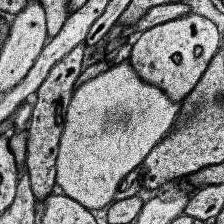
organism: Human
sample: Temporal Lobe